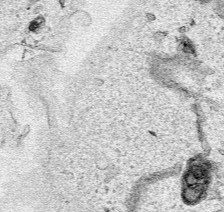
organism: Human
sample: Mitochondria in HCT116 cells